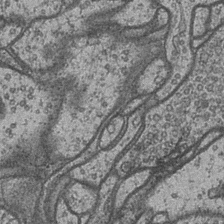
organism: Drosophila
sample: Optic medulla